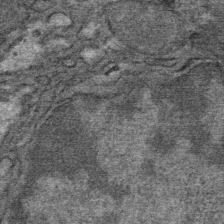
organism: Mouse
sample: Mouse Salivary gland